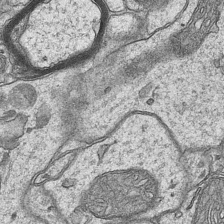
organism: Mouse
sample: CA1 Hippocampus